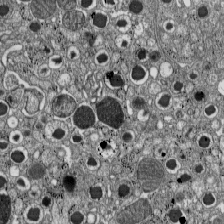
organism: C57BL Mouse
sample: Pancreatic islet